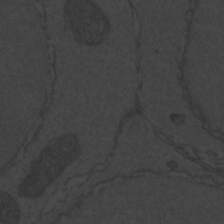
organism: Zebrafish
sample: Macrophage infected with Toxoplasma gondii